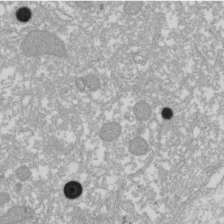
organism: Xenopus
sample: Cilia; centrioles in frog embryo cells